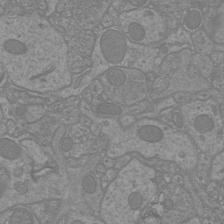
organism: Mouse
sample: Cortical neurons